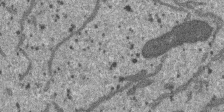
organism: Human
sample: Lung epithelial cells infected with SARS-CoV-2